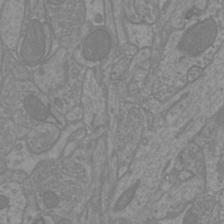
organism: Mouse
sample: Cortical neurons